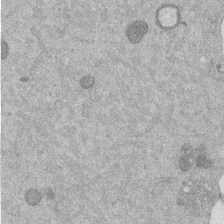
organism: Mouse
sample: Dividing mouse embryo 1 cell stage